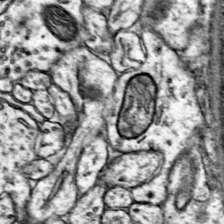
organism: Mouse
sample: Primary visual cortex